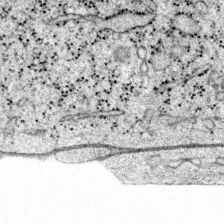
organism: Human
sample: HeLa cells